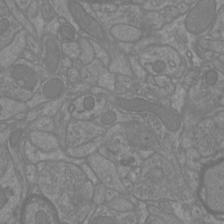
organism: Mouse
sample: Cortical neurons